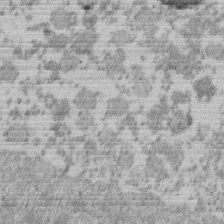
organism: Mouse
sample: Dividing mouse embryo 1 cell stage